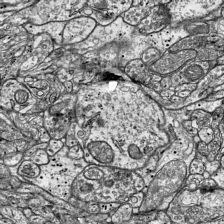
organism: Mouse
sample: Visual Cortex